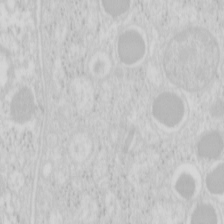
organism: Mouse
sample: Pancreas